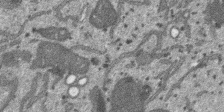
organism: Human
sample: Lung epithelial cells infected with SARS-CoV-2